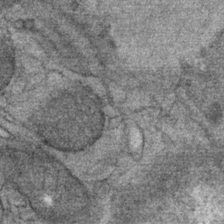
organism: Mouse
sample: Mouse Salivary gland